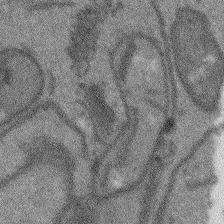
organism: Arabidopsis thaliana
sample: Root tip